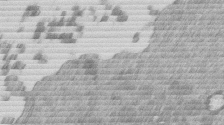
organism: Mouse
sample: Dividing mouse embryo 1 cell stage